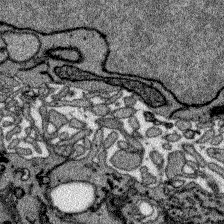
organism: Zebrafish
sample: Larval olfactory bulb